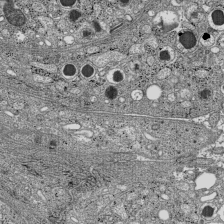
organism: C57BL Mouse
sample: Pancreatic islet